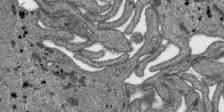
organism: Human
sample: Lung epithelial cells, uninfected (mock) control